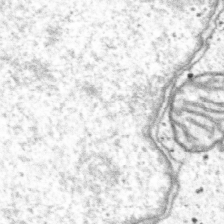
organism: Human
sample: HeLa cells